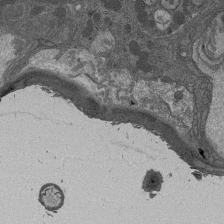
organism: Drosophila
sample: Antenna